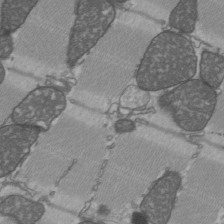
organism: C57BL Mouse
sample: Heart